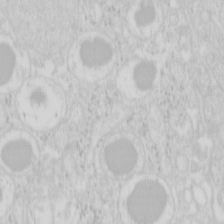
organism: Mouse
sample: Pancreas